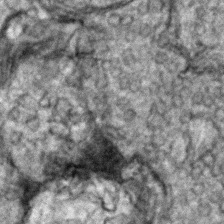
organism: Zebrafish